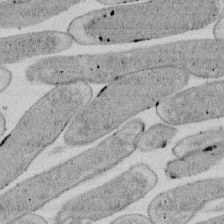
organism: E. coli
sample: Bacterial nucleoid